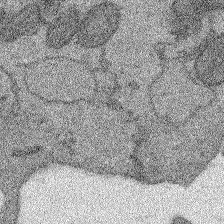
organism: Human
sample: HeLa cells